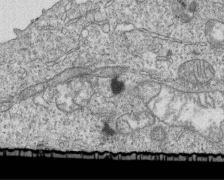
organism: Human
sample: HeLa cell HIV synapse